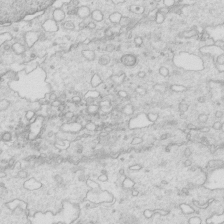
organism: Mouse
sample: Multiciliated cells